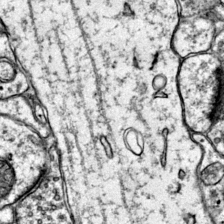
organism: Mouse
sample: Primary visual cortex